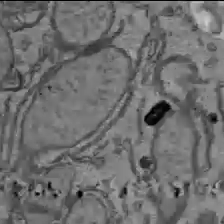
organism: C57BL Mouse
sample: Liver